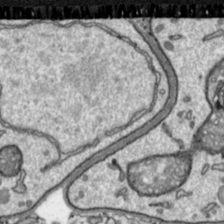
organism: Toxoplasma gondii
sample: Parasites in a vacuole inside a host cell